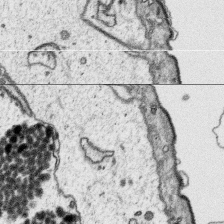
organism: Platynereis dumerilii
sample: Parapodia